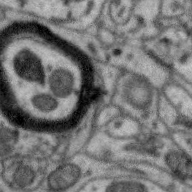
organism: Zebra finch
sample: Brain